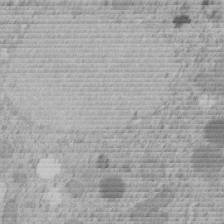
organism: C. elegans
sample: C. elegans embryo early stage